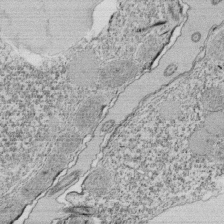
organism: Tetrahymena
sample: Cilia in tetrahymena